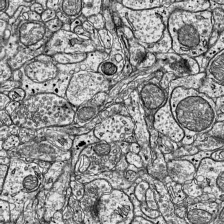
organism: Mouse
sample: Visual Cortex